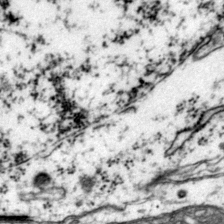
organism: Mouse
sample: Primary visual cortex